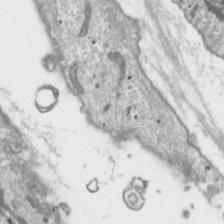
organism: Toxoplasma gondii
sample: Parasites in a vacuole inside a host cell